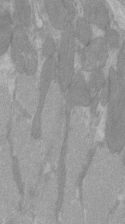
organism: C57BL Mouse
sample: Tibialis anterior muscle cell